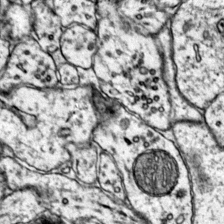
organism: Mouse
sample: Primary visual cortex